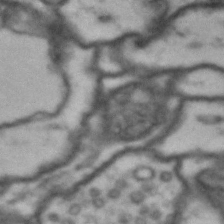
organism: Drosophila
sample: Brain